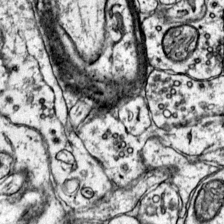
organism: Mouse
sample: Primary visual cortex